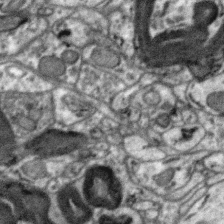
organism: Zebra finch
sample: Brain